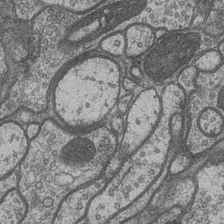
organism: Drosophila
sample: Optic medulla